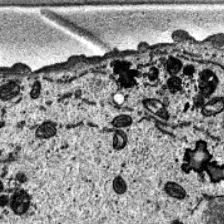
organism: Human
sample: HeLa cells